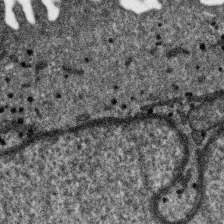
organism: Human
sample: Lung epithelial cells infected with SARS-CoV-2